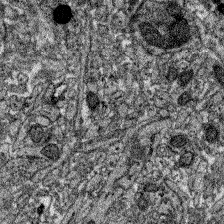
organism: Zebrafish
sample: Larval olfactory bulb